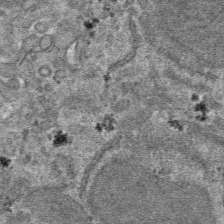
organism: Mouse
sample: Mouse hepatocytes